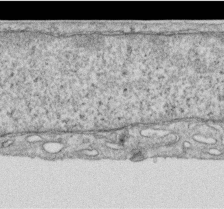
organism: Human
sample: Centriole in RPE cells